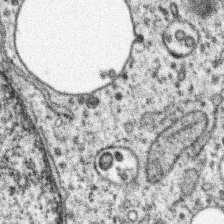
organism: Human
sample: HeLa cells